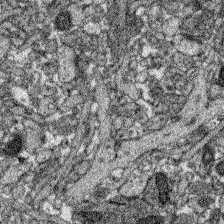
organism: Zebrafish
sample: Larval olfactory bulb